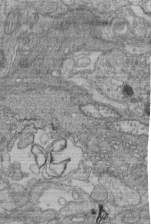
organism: Human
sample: Retinal organoid Rod and Cone cells